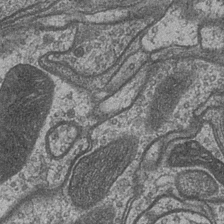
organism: Drosophila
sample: Optic medulla